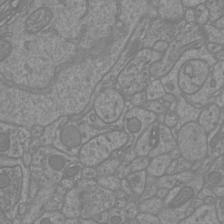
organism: Mouse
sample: Cortical neurons